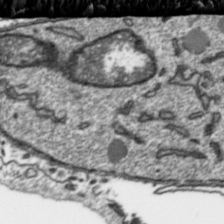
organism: Toxoplasma gondii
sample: Parasites in a vacuole inside a host cell